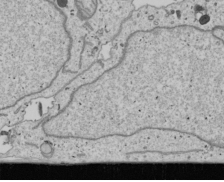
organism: Human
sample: Mitochondria in U2OS cells